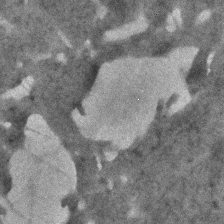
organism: Human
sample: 1205lu cells